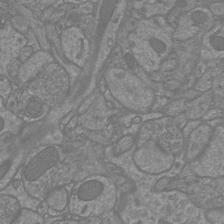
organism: Mouse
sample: Cortical neurons